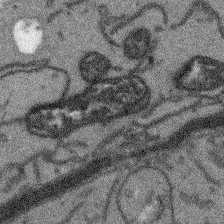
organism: Arabidopsis thaliana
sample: Root tip